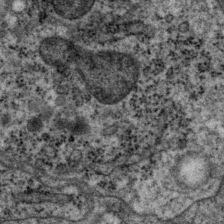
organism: P. pacificus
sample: Pharynx